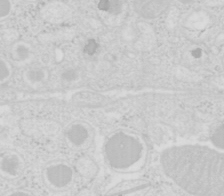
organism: Mouse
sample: Pancreas